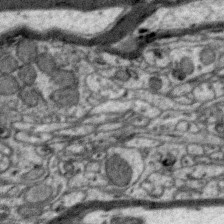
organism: Zebra finch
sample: Brain